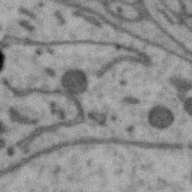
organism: Zebra finch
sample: Brain